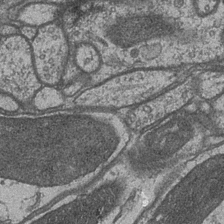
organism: Drosophila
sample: Optic medulla